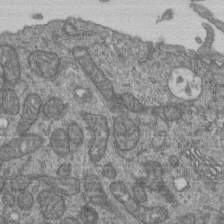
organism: Human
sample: Retinal organoid Rod and Cone cells